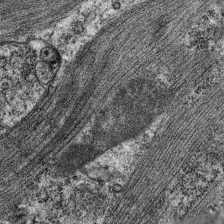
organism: C. elegans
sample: Pharynx